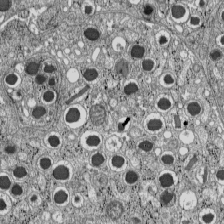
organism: C57BL Mouse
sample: Pancreatic islet